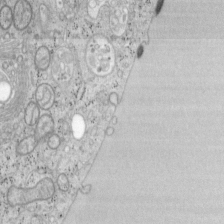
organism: Mouse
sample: OT-I killer T cells with ID8 ovarian cancer cells